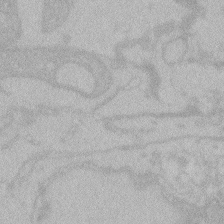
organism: Zebrafish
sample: Macrophage infected with Toxoplasma gondii